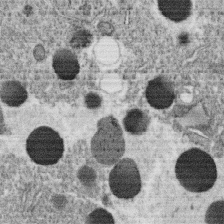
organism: C. elegans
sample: C. elegans oocyte; sperm cells